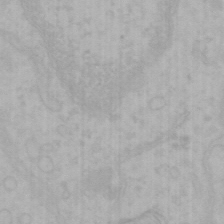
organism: Mouse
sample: Choroid plexus